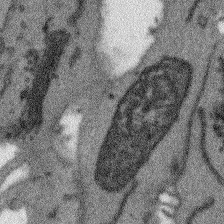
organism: Arabidopsis thaliana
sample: Root tip